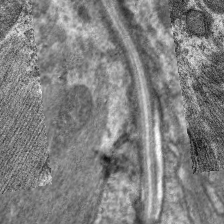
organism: C. elegans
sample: Pharynx